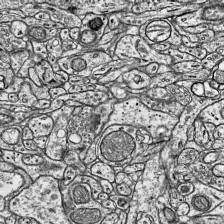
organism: Mouse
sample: Visual Cortex